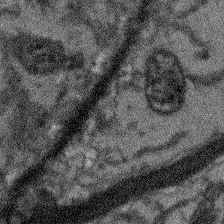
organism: Arabidopsis thaliana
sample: Root tip